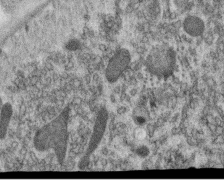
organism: C. elegans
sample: C. elegans oocyte; sperm cells